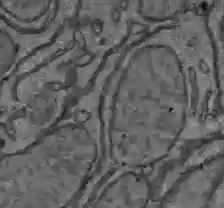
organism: C57BL Mouse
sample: Liver